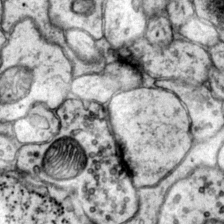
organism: Mouse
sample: Primary visual cortex